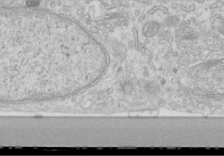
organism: Human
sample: Centriole in RPE cells